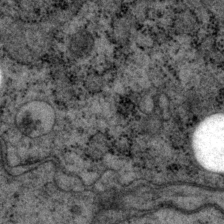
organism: P. pacificus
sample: Pharynx